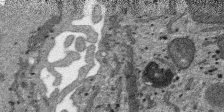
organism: Human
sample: Lung epithelial cells infected with SARS-CoV-2